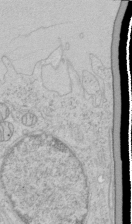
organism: Human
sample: Mitochondria in HCT116 cells